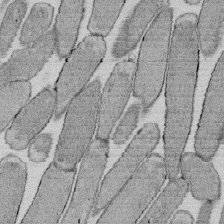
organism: E. coli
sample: Bacterial nucleoid